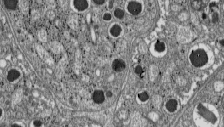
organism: C57BL Mouse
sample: Pancreatic islet